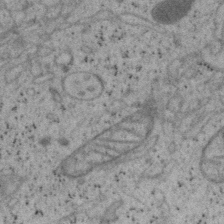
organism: Human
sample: HeLa cells